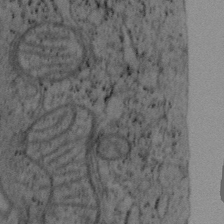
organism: Human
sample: HeLa cells